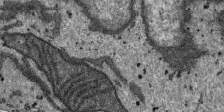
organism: Human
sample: Lung epithelial cells, uninfected (mock) control